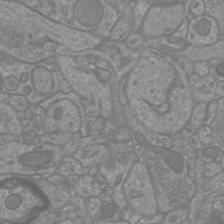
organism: Mouse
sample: Cortical neurons